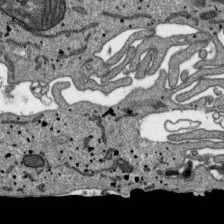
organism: Human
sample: Lung epithelial cells, uninfected (mock) control